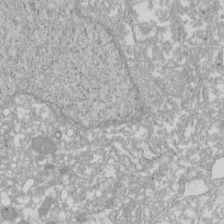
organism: Xenopus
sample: Cilia; centrioles in frog embryo cells